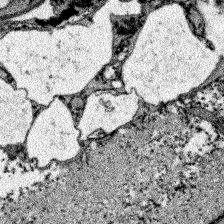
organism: Zebrafish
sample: Larval olfactory bulb